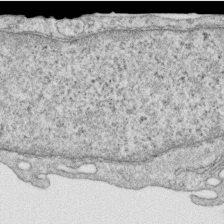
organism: Human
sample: Centriole in RPE cells